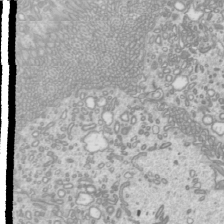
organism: Mouse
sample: Cilia; mouse epididymis